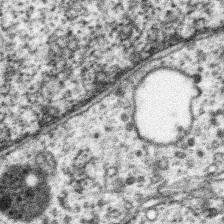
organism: Human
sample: HeLa cells